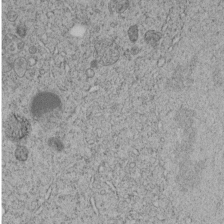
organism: C. elegans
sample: C. elegans embryo early stage